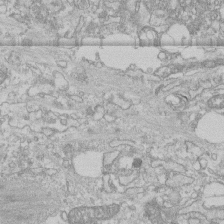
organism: Human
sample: CRL-1474